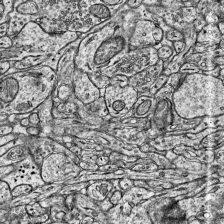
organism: Mouse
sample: Visual Cortex